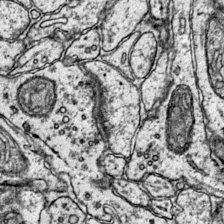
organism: Mouse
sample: Primary visual cortex